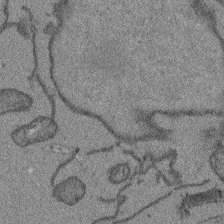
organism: Arabidopsis thaliana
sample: Root tip